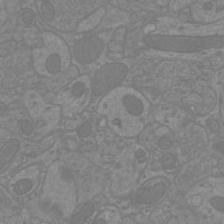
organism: Mouse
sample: Cortical neurons